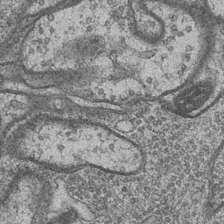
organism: Drosophila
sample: Optic medulla